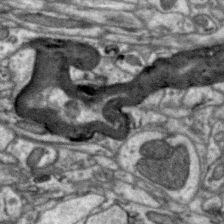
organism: Zebra finch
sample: Brain